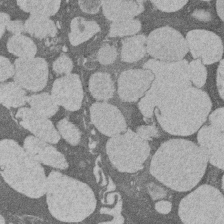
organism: Rat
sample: Salivary granule